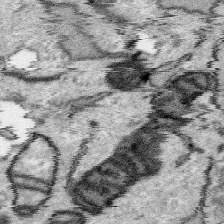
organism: Human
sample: HeLa cells